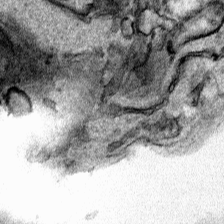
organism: Human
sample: Mitochondria in HCT116 cells